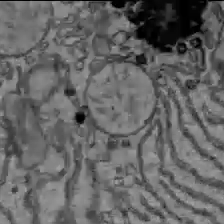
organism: C57BL Mouse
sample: Liver